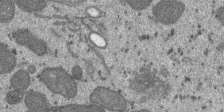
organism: Human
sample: Lung epithelial cells infected with SARS-CoV-2